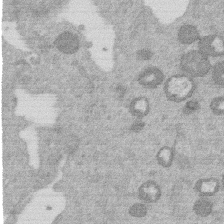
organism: Mouse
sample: Dividing mouse embryo 1 cell stage